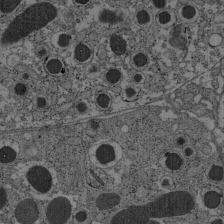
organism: C57BL Mouse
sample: Pancreatic islet